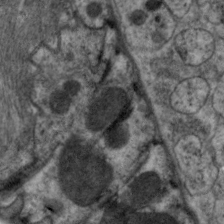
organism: C. elegans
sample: Pharynx